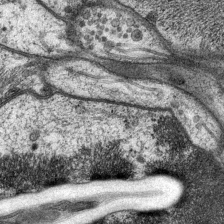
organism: P. pacificus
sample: Pharynx